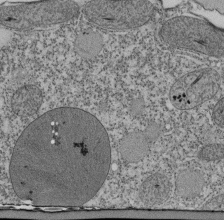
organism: Tetrahymena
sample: Cilia in tetrahymena